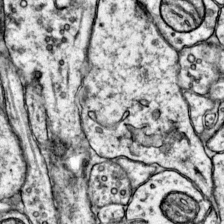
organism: Mouse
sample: Primary visual cortex